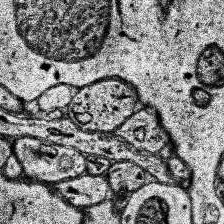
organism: Human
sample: Temporal Lobe